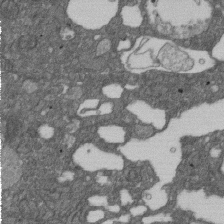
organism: Drosophila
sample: Nephrocyte